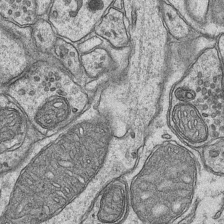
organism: Mouse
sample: CA1 Hippocampus